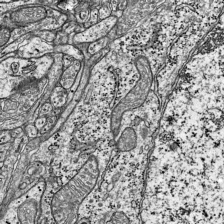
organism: Mouse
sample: Visual Cortex